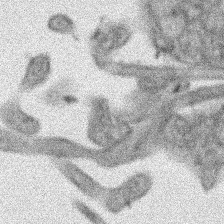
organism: Human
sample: Mitochondria in HCT116 cells